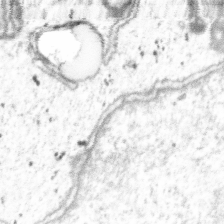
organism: Human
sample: HeLa cells